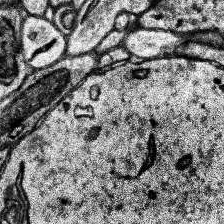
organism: Human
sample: Temporal Lobe